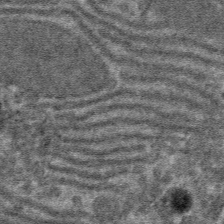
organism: Mouse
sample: Mouse hepatocytes